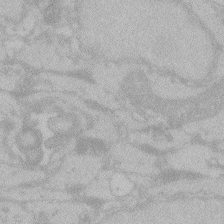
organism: Zebrafish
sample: Macrophage infected with Toxoplasma gondii